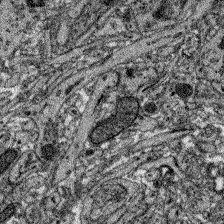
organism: Zebrafish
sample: Larval olfactory bulb